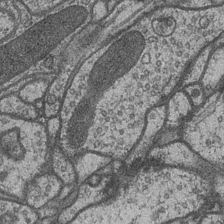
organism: Drosophila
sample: Optic medulla